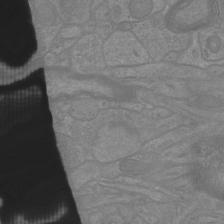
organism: Mouse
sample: Cortical neurons